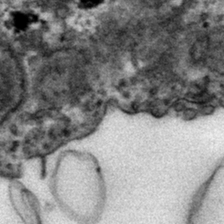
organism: Mouse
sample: Mouse hepatocytes